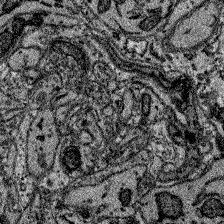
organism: Zebrafish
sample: Larval olfactory bulb